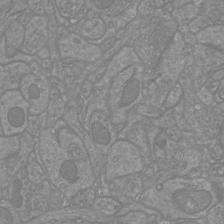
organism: Mouse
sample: Cortical neurons